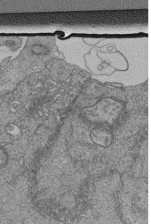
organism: Human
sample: Retinal organoid Rod and Cone cells